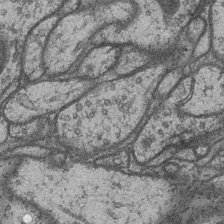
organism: Drosophila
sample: Optic medulla